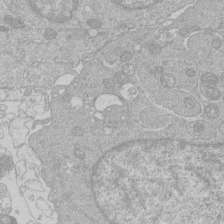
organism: Human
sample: Macrophage cells